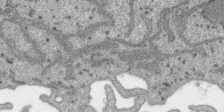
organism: Human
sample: Lung epithelial cells infected with SARS-CoV-2